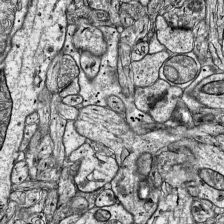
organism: Mouse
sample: Visual Cortex